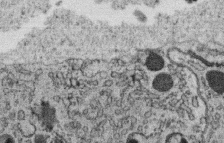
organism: C. elegans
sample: C. elegans oocyte; sperm cells